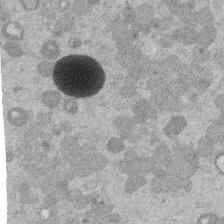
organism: Mouse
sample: Dividing mouse embryo 1 cell stage